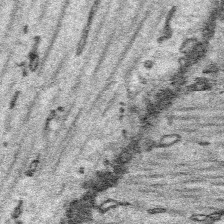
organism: Platynereis dumerilii